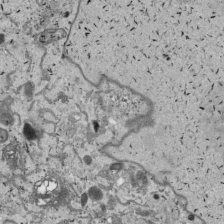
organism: Human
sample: Mitochondria in HCT116 cells